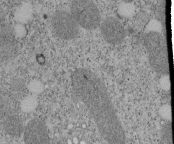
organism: Tetrahymena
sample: Cilia in tetrahymena